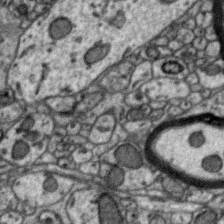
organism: Zebra finch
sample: Brain